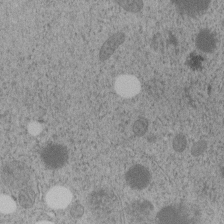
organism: C. elegans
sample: C. elegans embryo early stage